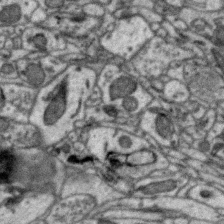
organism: Zebra finch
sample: Brain